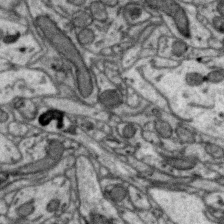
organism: Zebra finch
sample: Brain